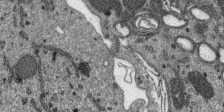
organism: Human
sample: Lung epithelial cells infected with SARS-CoV-2